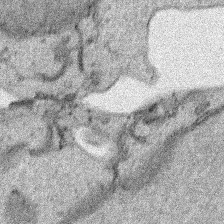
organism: Human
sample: Mitochondria in HCT116 cells